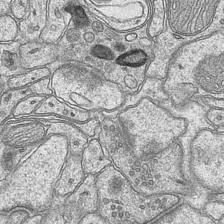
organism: Mouse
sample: CA1 Hippocampus